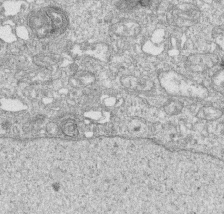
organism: Human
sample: HeLa cell HIV synapse